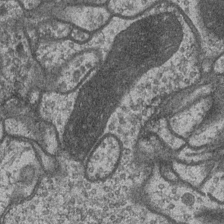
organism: Drosophila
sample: Optic medulla